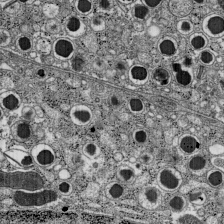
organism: C57BL Mouse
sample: Pancreatic islet